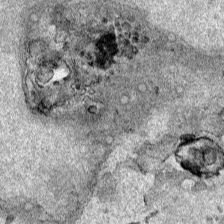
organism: Human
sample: Mitochondria in HCT116 cells